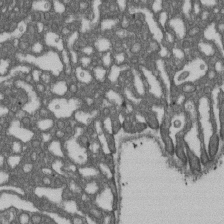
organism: Drosophila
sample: Nephrocyte